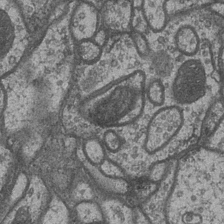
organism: Drosophila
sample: Optic medulla